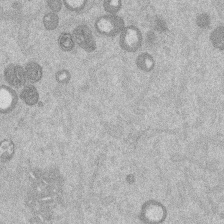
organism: Mouse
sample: Dividing mouse embryo 1 cell stage